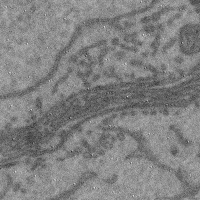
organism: Mouse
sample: Cerebral cortex